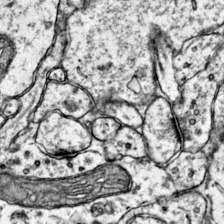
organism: Mouse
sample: Primary visual cortex